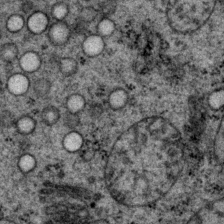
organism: P. pacificus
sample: Pharynx